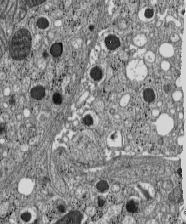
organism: C57BL Mouse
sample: Pancreatic islet